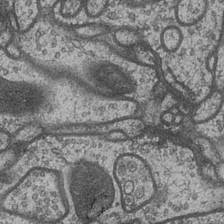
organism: Drosophila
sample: Optic medulla